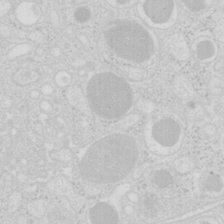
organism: Mouse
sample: Pancreas